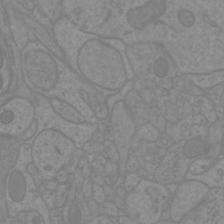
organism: Mouse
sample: Cortical neurons